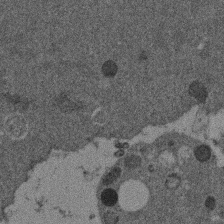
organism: Mouse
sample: Dividing mouse embryo 1 cell stage